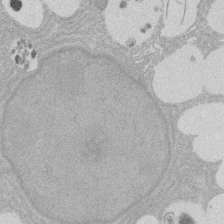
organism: Rat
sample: Salivary granule